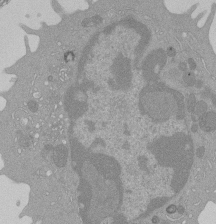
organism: Mouse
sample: Activated Pmel transgenic CD8+ T Cells